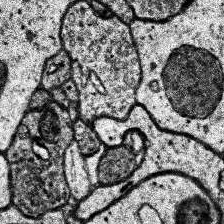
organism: Human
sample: Temporal Lobe